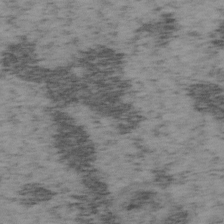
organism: Mouse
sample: OT-I killer T cells with ID8 ovarian cancer cells